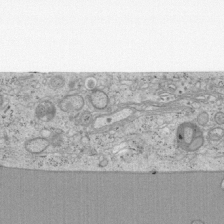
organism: Human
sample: HeLa cells